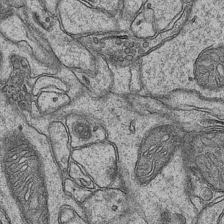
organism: Mouse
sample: CA1 Hippocampus